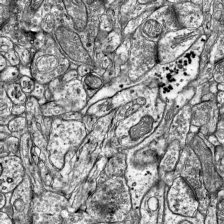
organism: Mouse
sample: Visual Cortex